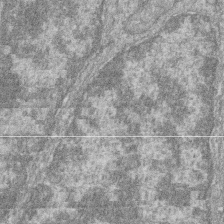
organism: Zebrafish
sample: Cilia; retinal pigment epithelium